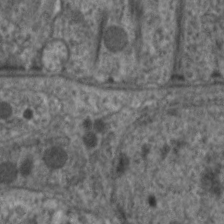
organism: C. elegans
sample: Pharynx